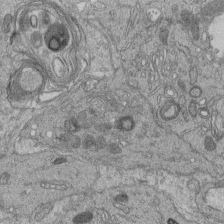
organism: Human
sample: Retinal organoid Rod and Cone cells